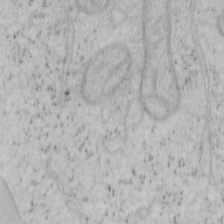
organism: Human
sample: HeLa cells